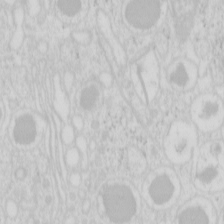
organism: Mouse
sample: Pancreas